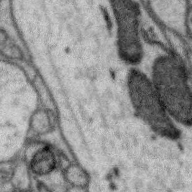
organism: Zebra finch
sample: Brain